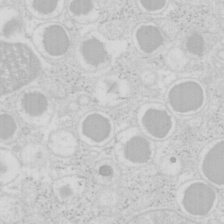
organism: Mouse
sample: Pancreas